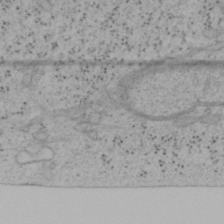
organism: Human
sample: HeLa cells